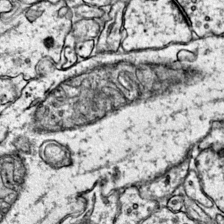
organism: Mouse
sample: Primary visual cortex